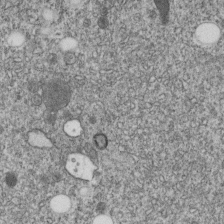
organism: C. elegans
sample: C. elegans embryo early stage